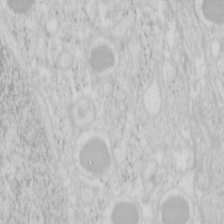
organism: Mouse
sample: Pancreas